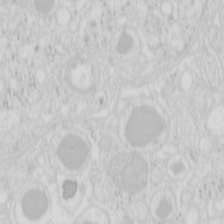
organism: Mouse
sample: Pancreas